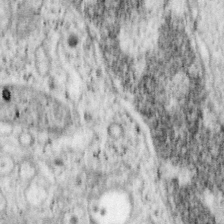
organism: Mouse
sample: OT-I killer T cells with ID8 ovarian cancer cells